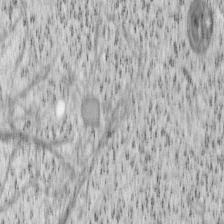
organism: Human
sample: HeLa cells